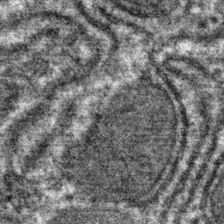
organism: Mouse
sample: Mouse hepatocytes